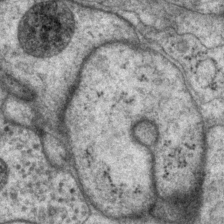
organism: P. pacificus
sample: Pharynx